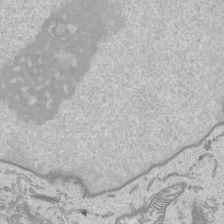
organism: Human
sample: Mitochondria in HCT116 cells